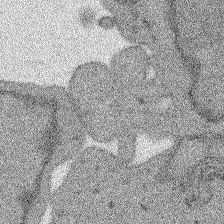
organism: Human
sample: HeLa cells